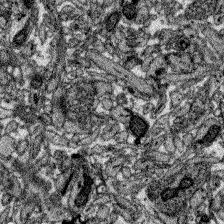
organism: Zebrafish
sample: Larval olfactory bulb